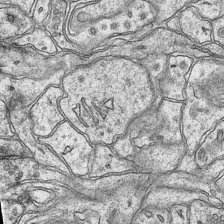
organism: Mouse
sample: CA1 Hippocampus